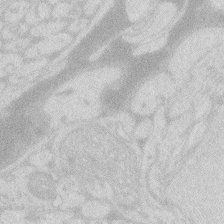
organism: Zebrafish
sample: Macrophage